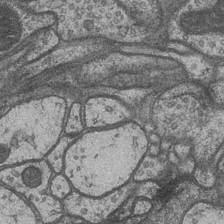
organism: Drosophila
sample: Optic medulla